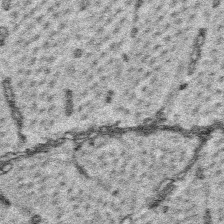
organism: Platynereis dumerilii